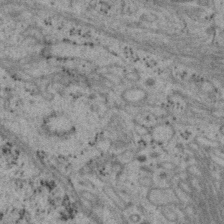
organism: Human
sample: HeLa cells